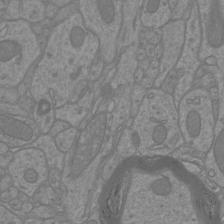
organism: Mouse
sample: Cortical neurons